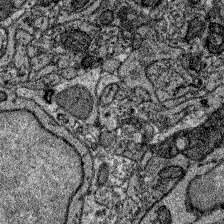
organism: Zebrafish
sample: Larval olfactory bulb